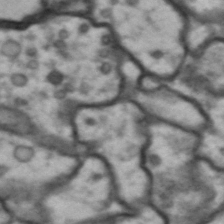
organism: Drosophila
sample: Brain